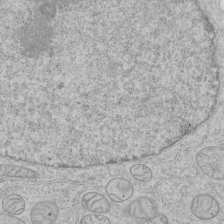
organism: Human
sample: Mitochondria in HCT116 cells